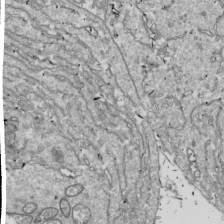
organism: Drosophila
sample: Cell division; meiosis; drosophila spermatocytes